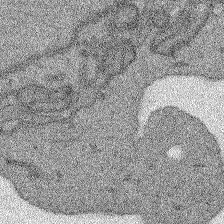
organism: Human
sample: HeLa cells